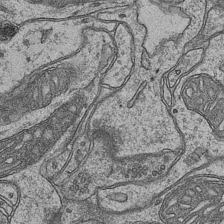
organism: Mouse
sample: CA1 Hippocampus